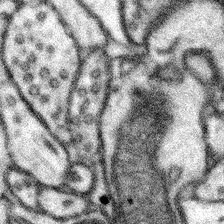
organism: Mouse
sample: Somatosensory cortex neuropil